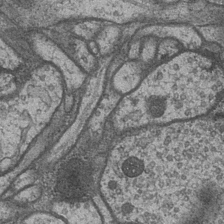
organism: Drosophila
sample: Optic medulla